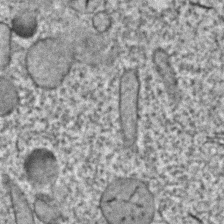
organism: C. elegans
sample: C. elegans embryo